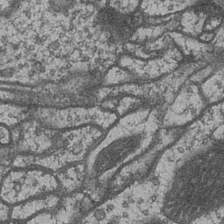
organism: Drosophila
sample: Optic medulla